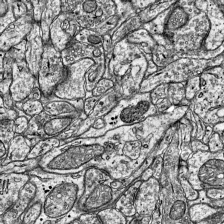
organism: Mouse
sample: Visual Cortex